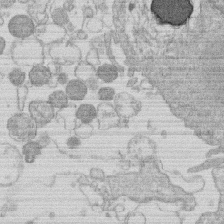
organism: Human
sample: Macrophage cells